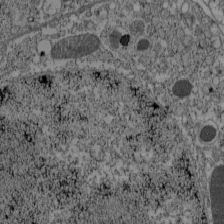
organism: C57BL Mouse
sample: Pancreatic islet